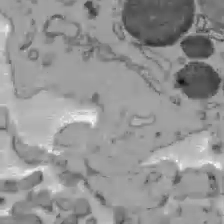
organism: C57BL Mouse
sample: Liver